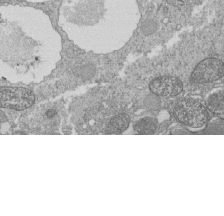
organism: Tetrahymena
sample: Cilia in tetrahymena